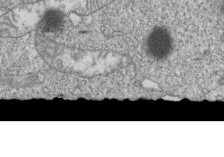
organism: Human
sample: HeLa cell HIV synapse